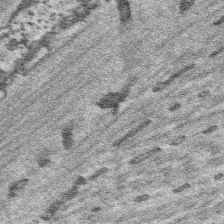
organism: Platynereis dumerilii